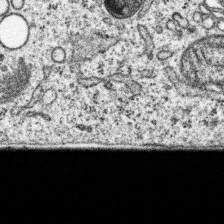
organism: Human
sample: HeLa cells